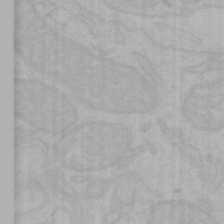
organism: Mouse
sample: Choroid plexus